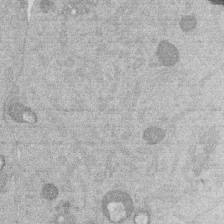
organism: Mouse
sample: Dividing mouse embryo 1 cell stage